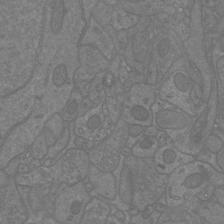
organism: Mouse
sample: Cortical neurons